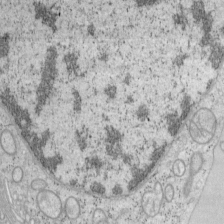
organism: Mouse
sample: OT-I killer T cells with ID8 ovarian cancer cells